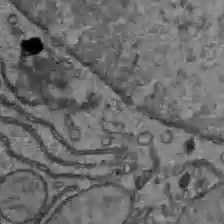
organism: C57BL Mouse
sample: Liver